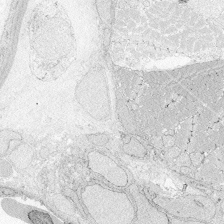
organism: Zebrafish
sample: Whole-Brain